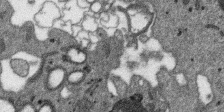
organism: Human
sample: Lung epithelial cells infected with SARS-CoV-2